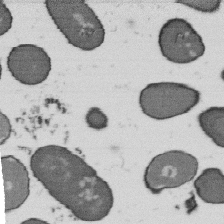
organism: B. subtilis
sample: Bacterial spore